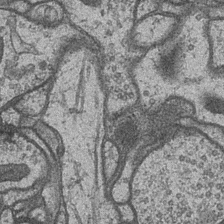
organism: Drosophila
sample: Optic medulla